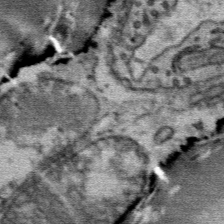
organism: Mouse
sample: Mouse Salivary gland